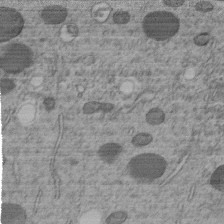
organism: C. elegans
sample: C. elegans embryo early stage